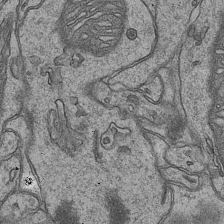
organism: Mouse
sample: CA1 Hippocampus